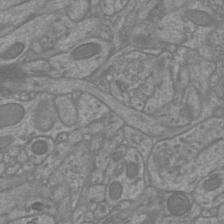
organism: Mouse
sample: Cortical neurons